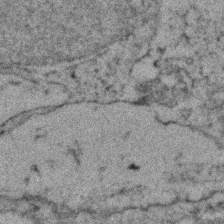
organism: Zebrafish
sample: Zebrafish embryo